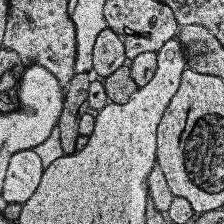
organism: Human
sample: Temporal Lobe